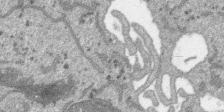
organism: Human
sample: Lung epithelial cells infected with SARS-CoV-2